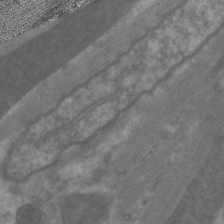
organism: C. elegans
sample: Pharynx